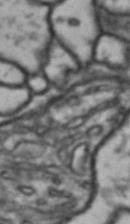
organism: Drosophila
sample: Brain